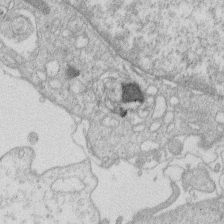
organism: Human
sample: Macrophage cells